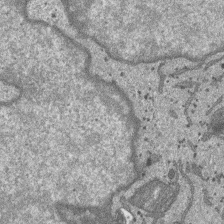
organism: Human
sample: Lung epithelial cells infected with SARS-CoV-2